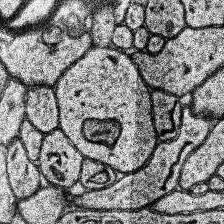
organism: Human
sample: Temporal Lobe